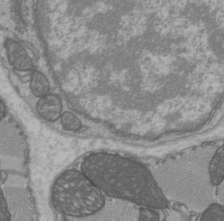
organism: C57BL Mouse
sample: Heart